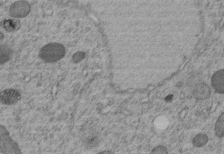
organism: C. elegans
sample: C. elegans embryo early stage